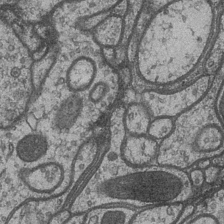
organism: Drosophila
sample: Optic medulla